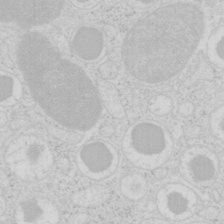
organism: Mouse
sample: Pancreas